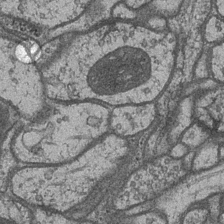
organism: Drosophila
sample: Optic medulla